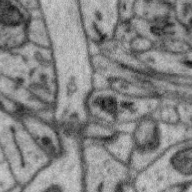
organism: Zebra finch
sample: Brain